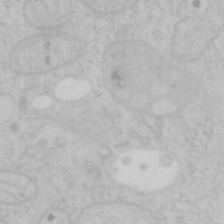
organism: Mouse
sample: OT-I killer T cells with ID8 ovarian cancer cells